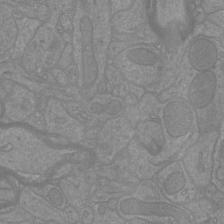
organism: Mouse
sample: Cortical neurons